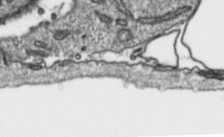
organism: Toxoplasma gondii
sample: Parasites in a vacuole inside a host cell